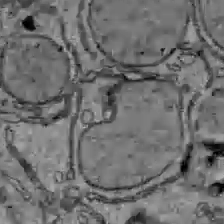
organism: C57BL Mouse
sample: Liver